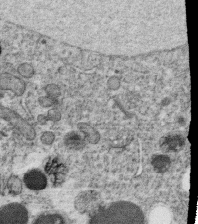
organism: C. elegans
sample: C. elegans oocyte; sperm cells